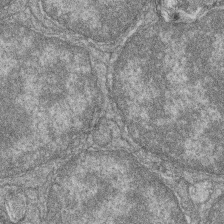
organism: Zebrafish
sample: Cilia; retinal pigment epithelium